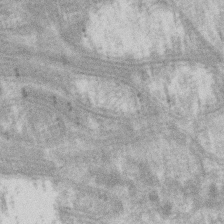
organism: Drosophila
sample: Cell division; meiosis; drosophila spermatocytes